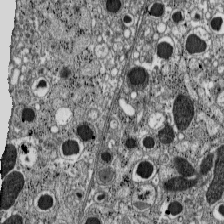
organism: C57BL Mouse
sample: Pancreatic islet